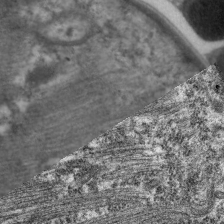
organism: C. elegans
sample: Pharynx